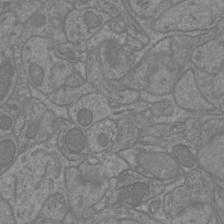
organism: Mouse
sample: Cortical neurons